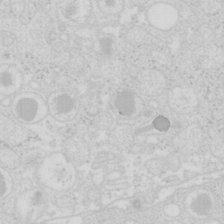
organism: Mouse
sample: Pancreas